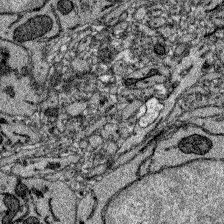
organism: Zebrafish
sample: Larval olfactory bulb